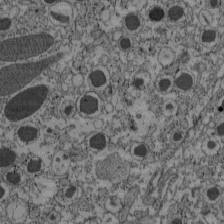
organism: C57BL Mouse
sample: Pancreatic islet